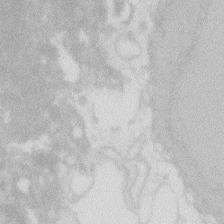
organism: Zebrafish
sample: Macrophage